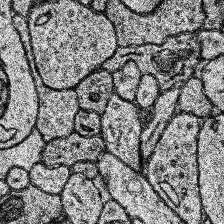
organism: Human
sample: Temporal Lobe